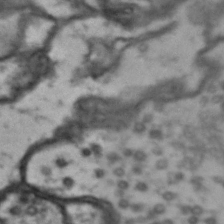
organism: Drosophila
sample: Brain